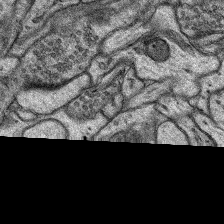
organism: Rat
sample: Hippocampus